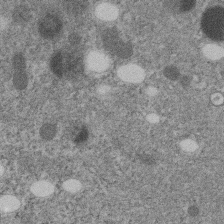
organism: C. elegans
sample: C. elegans embryo early stage